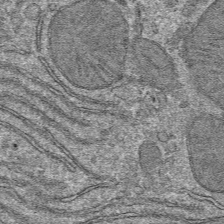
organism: Mouse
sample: Mouse hepatocytes